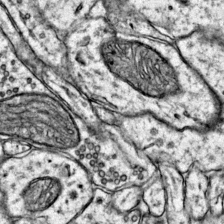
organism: Mouse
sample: Primary visual cortex